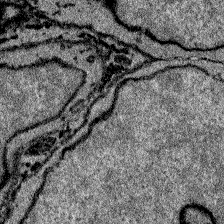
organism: Zebrafish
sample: Larval olfactory bulb